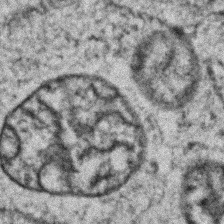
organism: Zebrafish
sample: Zebrafish embryo